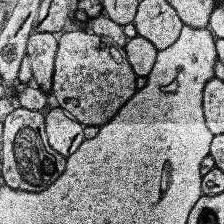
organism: Human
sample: Temporal Lobe